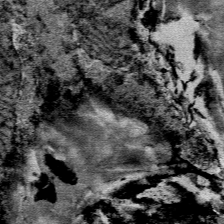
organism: Mouse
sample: Mouse Salivary gland